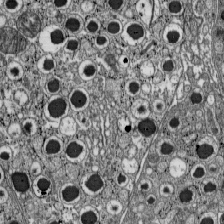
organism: C57BL Mouse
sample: Pancreatic islet